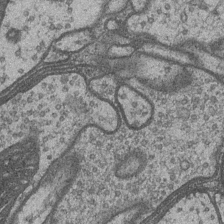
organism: Drosophila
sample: Optic medulla